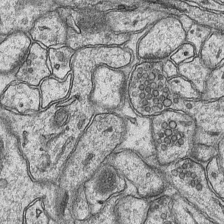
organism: Mouse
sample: CA1 Hippocampus